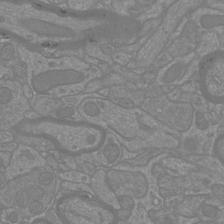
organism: Mouse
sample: Cortical neurons